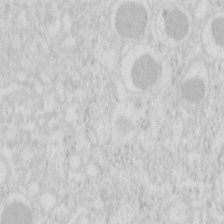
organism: Mouse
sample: Pancreas